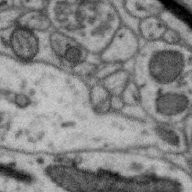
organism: Zebra finch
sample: Brain